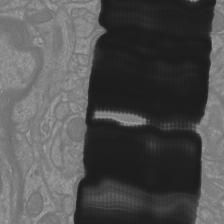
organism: Mouse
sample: Cortical neurons